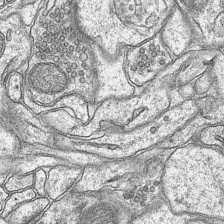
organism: Mouse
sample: CA1 Hippocampus